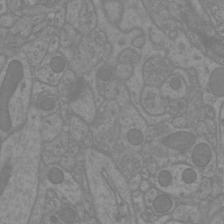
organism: Mouse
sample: Cortical neurons